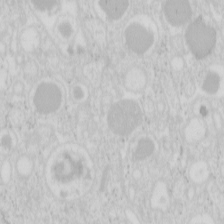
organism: Mouse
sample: Pancreas